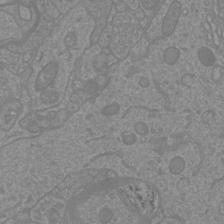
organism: Mouse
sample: Cortical neurons